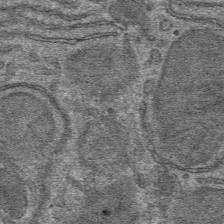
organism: Mouse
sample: Mouse hepatocytes